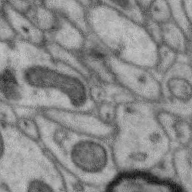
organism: Zebra finch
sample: Brain